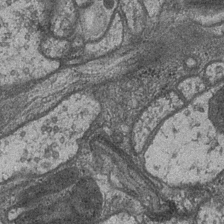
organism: Drosophila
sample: Optic medulla